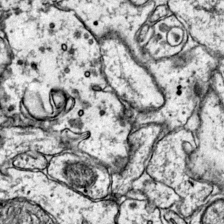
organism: Mouse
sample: Primary visual cortex